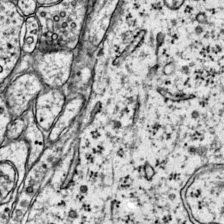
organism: Mouse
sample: Primary visual cortex